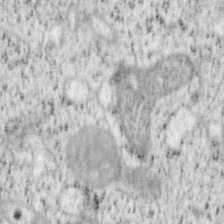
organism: Mouse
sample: OT-I killer T cells with ID8 ovarian cancer cells